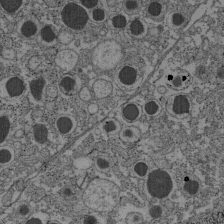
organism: C57BL Mouse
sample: Pancreatic islet